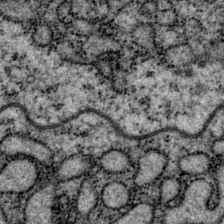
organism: P. pacificus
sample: Pharynx